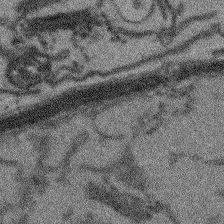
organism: Arabidopsis thaliana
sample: Root tip